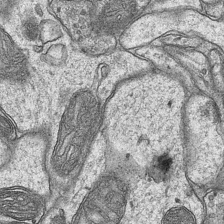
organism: Mouse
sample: CA1 Hippocampus